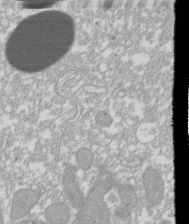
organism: Xenopus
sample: Cilia; centrioles in frog embryo cells